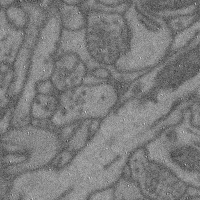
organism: Mouse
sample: Cerebral cortex